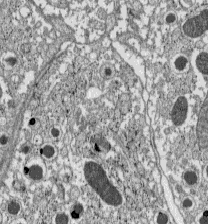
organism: C57BL Mouse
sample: Pancreatic islet